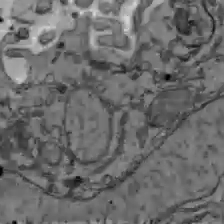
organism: C57BL Mouse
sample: Liver